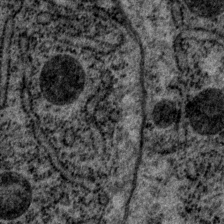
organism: P. pacificus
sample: Pharynx